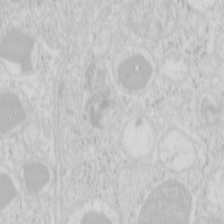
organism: Mouse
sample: Pancreas